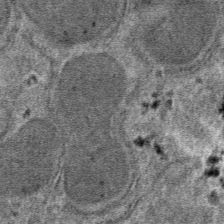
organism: Mouse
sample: Mouse hepatocytes